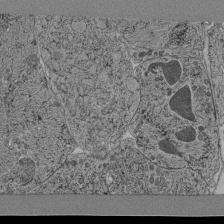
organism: C. elegans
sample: C. elegans pharynx